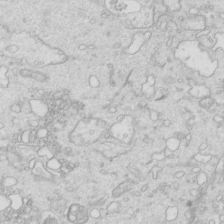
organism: Mouse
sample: Multiciliated cells